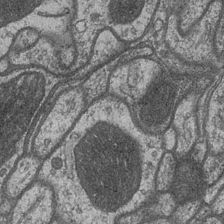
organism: Drosophila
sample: Optic medulla